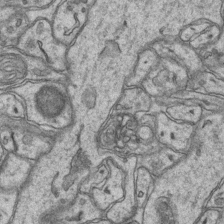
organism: Mouse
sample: CA1 Hippocampus